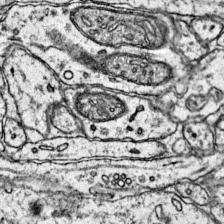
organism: Mouse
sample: Primary visual cortex